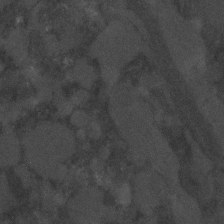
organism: C. elegans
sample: C. elegans embryo